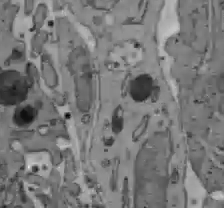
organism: C57BL Mouse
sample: Liver